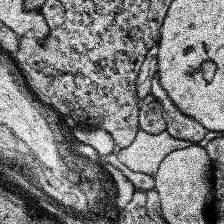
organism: Human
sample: Temporal Lobe